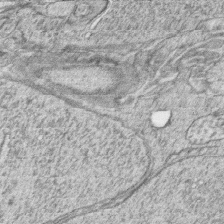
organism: Zebrafish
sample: synaptic ribbons in rod cells and cone cells